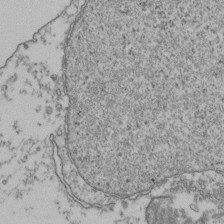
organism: Human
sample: Activated Jurkat CD4+ T cells